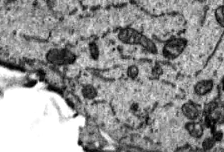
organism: Human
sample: HeLa cells